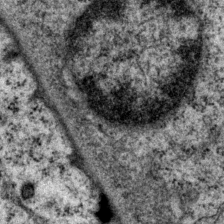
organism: P. pacificus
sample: Pharynx